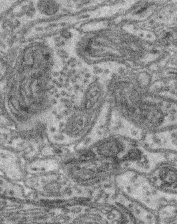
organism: Mouse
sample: Retina